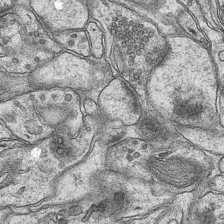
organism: Mouse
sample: CA1 Hippocampus